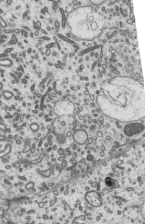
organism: Mouse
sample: Mouse epididymis efferent ductule cilia